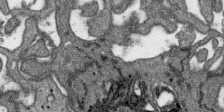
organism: Human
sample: Lung epithelial cells, uninfected (mock) control